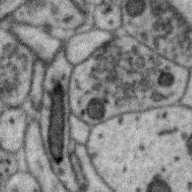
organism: Zebra finch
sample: Brain